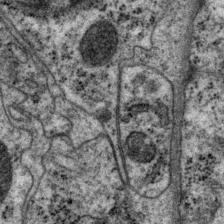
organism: P. pacificus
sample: Pharynx